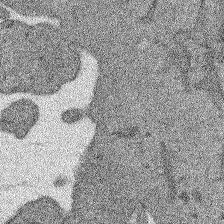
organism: Human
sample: HeLa cells